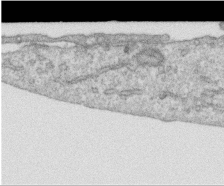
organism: Human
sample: Centriole in RPE cells